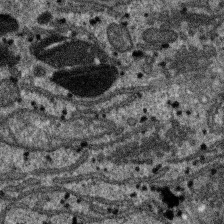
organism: Human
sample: Lung epithelial cells infected with SARS-CoV-2